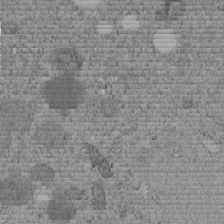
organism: C. elegans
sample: C. elegans embryo early stage